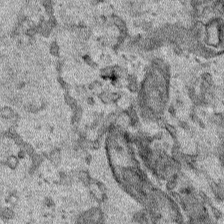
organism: Human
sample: Mitochondria in HCT116 cells